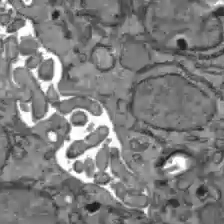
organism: C57BL Mouse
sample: Liver